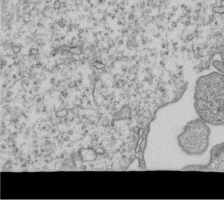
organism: Human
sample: MDA-MB-231 cells